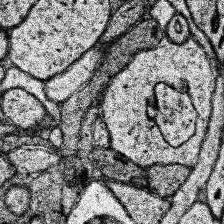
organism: Human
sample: Temporal Lobe